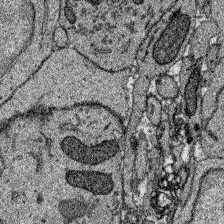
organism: Zebrafish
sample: Larval olfactory bulb